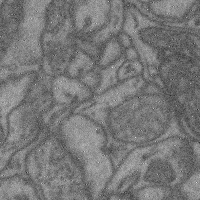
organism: Mouse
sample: Cerebral cortex